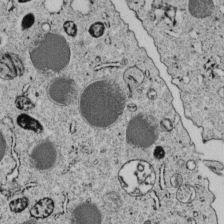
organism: C. elegans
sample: C. elegans embryo early stage